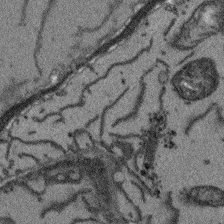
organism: Arabidopsis thaliana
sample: Root tip